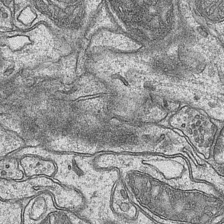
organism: Mouse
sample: CA1 Hippocampus